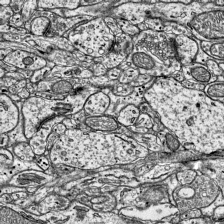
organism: Mouse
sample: Visual Cortex